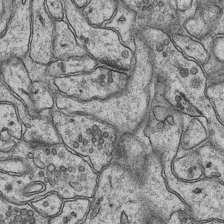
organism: Mouse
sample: CA1 Hippocampus